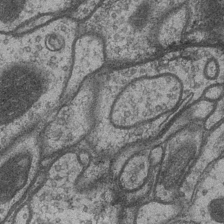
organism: Drosophila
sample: Optic medulla